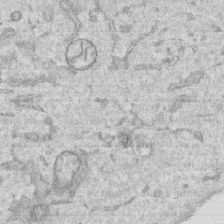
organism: Human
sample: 1205lu cells